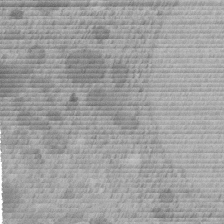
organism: C. elegans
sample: C. elegans embryo early stage